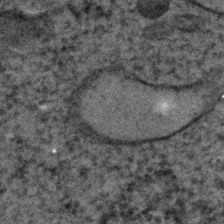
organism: C. elegans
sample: C. elegans embryo